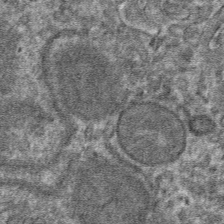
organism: Mouse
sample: Mouse hepatocytes